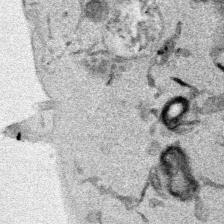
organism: Mouse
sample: Cancer cell death in ED-1 cells